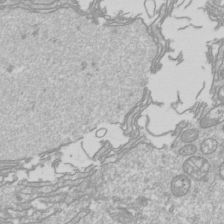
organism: Drosophila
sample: Cell division; meiosis; drosophila spermatocytes